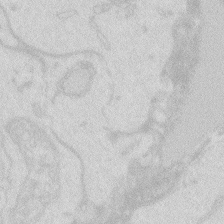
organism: Zebrafish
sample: Macrophage